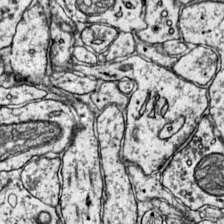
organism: Mouse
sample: Primary visual cortex